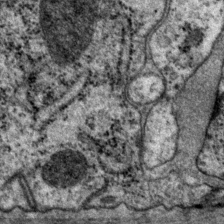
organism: P. pacificus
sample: Pharynx